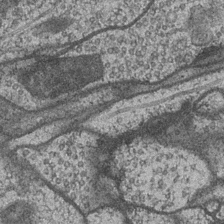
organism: Drosophila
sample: Optic medulla